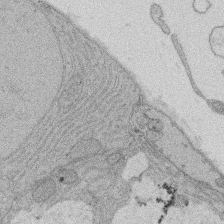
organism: Rat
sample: Salivary granule